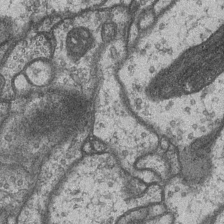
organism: Drosophila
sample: Optic medulla